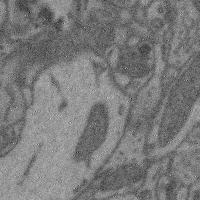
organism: Mouse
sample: Cerebral cortex